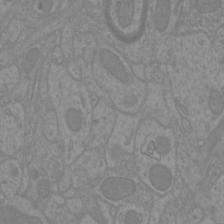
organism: Mouse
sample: Cortical neurons